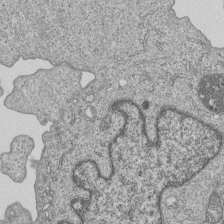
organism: Human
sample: MDA-MB-231 cells